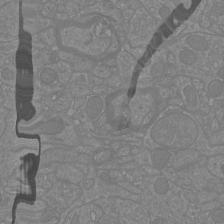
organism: Mouse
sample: Cortical neurons